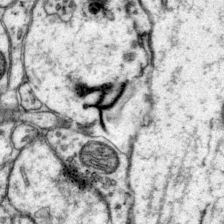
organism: Mouse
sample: Primary visual cortex